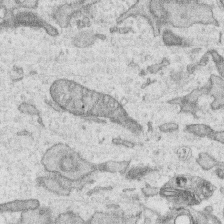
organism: Human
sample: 1205lu cells